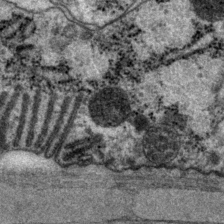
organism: P. pacificus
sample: Pharynx